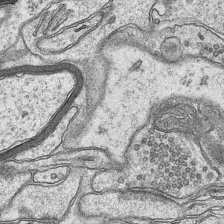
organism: Mouse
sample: CA1 Hippocampus